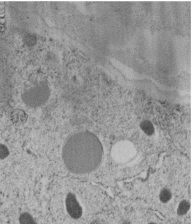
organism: C. elegans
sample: C. elegans embryo early stage